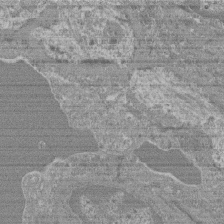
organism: Mouse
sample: Glomerulus